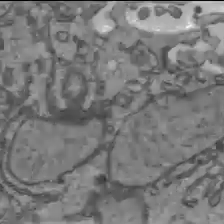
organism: C57BL Mouse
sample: Liver